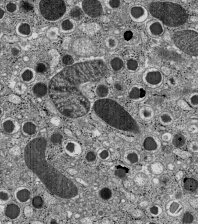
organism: C57BL Mouse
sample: Pancreatic islet